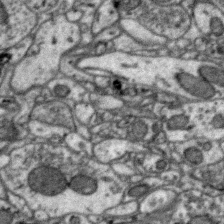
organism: Zebra finch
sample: Brain